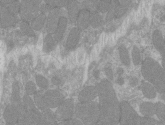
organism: C57BL Mouse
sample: Tibialis anterior muscle cell